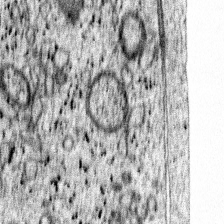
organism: Human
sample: HeLa cells